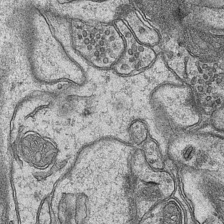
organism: Mouse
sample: CA1 Hippocampus